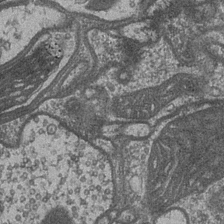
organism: Drosophila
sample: Optic medulla